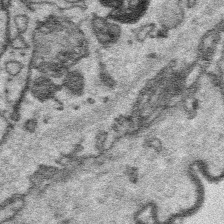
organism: Platynereis dumerilii